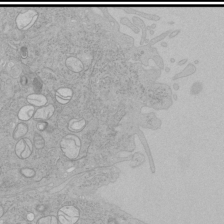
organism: Human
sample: Mitochondria in HCT116 cells